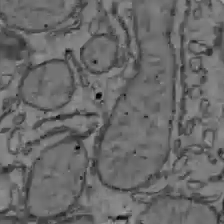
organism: C57BL Mouse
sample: Liver